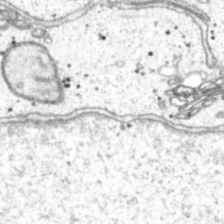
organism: Human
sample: HeLa cells